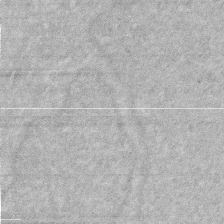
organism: Human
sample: HIV infected U937 cells